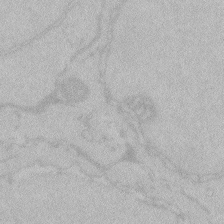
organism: Zebrafish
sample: Macrophage infected with Toxoplasma gondii